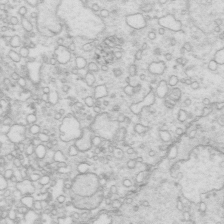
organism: Mouse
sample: Multiciliated cells